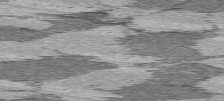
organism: C57BL Mouse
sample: Heart